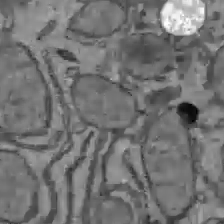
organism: C57BL Mouse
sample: Liver